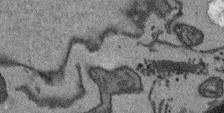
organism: Arabidopsis thaliana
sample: Root tip